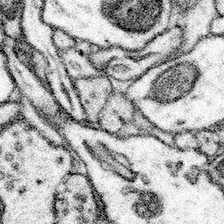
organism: Mouse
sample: Somatosensory cortex neuropil